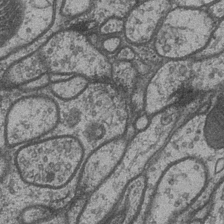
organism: Drosophila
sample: Optic medulla